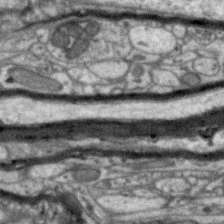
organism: Zebra finch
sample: Brain